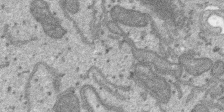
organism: Human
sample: Lung epithelial cells infected with SARS-CoV-2